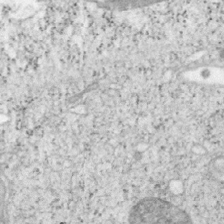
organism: Mouse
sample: OT-I killer T cells with ID8 ovarian cancer cells